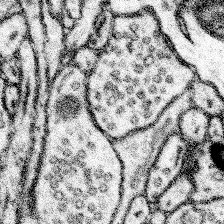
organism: Mouse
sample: Somatosensory cortex neuropil